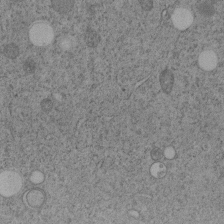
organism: C. elegans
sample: C. elegans embryo early stage